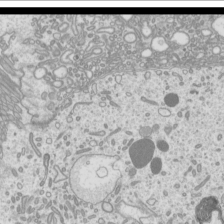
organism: Mouse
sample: Cilia; mouse epididymis